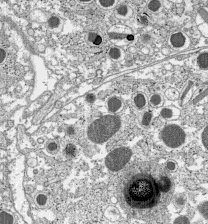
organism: C57BL Mouse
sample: Pancreatic islet